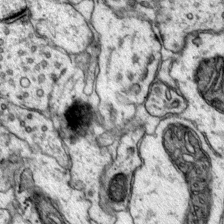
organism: Mouse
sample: Primary visual cortex